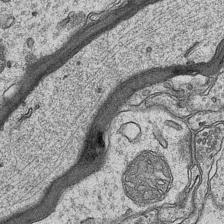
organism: Mouse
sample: CA1 Hippocampus